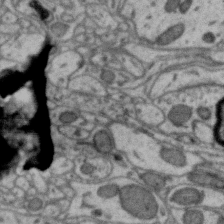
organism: Zebra finch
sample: Brain